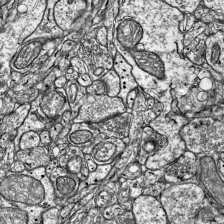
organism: Mouse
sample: Visual Cortex